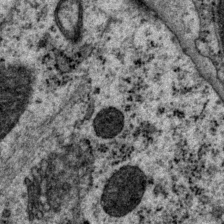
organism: P. pacificus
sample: Pharynx